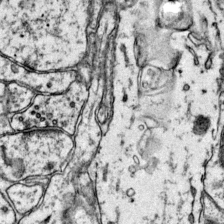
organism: Mouse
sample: Primary visual cortex